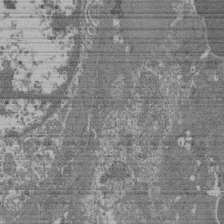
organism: Mouse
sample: Glomerulus